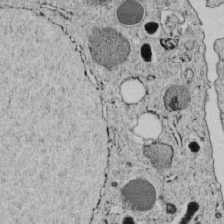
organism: C. elegans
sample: C. elegans embryo early stage